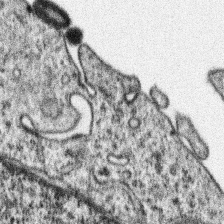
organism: Human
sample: HeLa cells